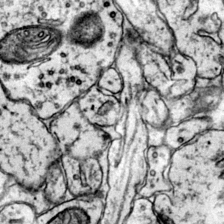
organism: Mouse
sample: Primary visual cortex